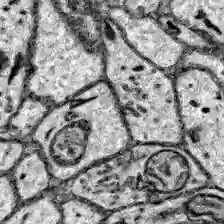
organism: Zebrafish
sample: Brain